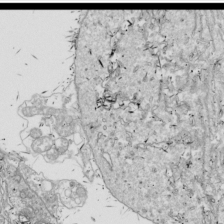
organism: Drosophila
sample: Cell division; meiosis; drosophila spermatocytes